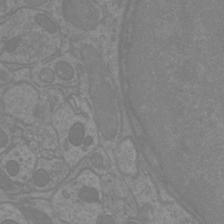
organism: Mouse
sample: Cortical neurons